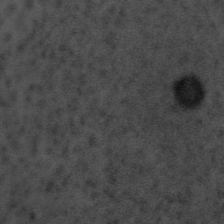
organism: Tuwongella immobilis